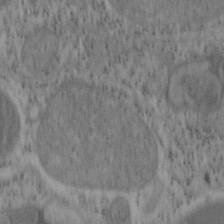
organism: Mouse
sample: OT-I killer T cells with ID8 ovarian cancer cells